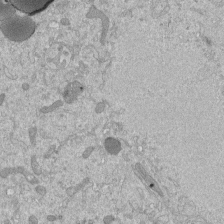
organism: Mouse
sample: ED-1 cell nuclei; centrioles